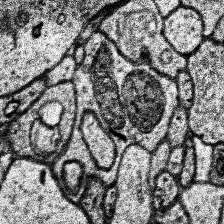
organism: Human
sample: Temporal Lobe